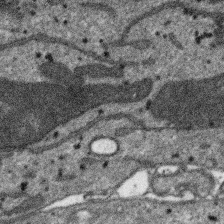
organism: Human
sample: Lung epithelial cells infected with SARS-CoV-2